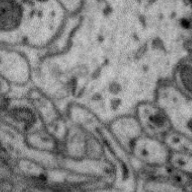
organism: Zebra finch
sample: Brain